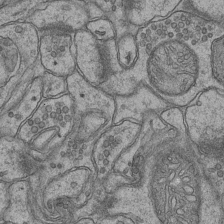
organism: Mouse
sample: CA1 Hippocampus